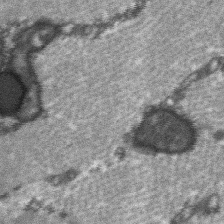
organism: C57BL Mouse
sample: Soleus